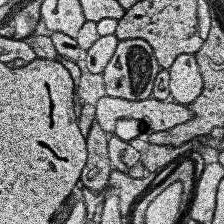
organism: Human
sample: Temporal Lobe